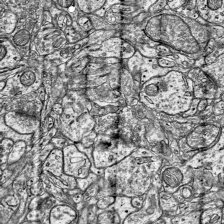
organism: Mouse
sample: Visual Cortex